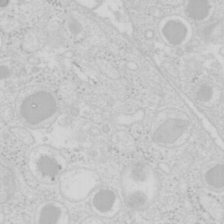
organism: Mouse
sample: Pancreas